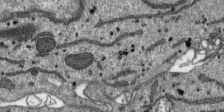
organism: Human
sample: Lung epithelial cells, uninfected (mock) control